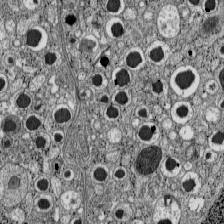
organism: C57BL Mouse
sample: Pancreatic islet